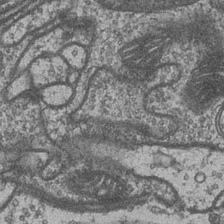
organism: Drosophila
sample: Optic medulla